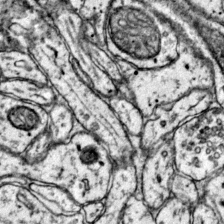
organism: Mouse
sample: Primary visual cortex